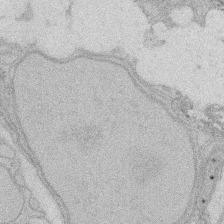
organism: Rat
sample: Salivary granule